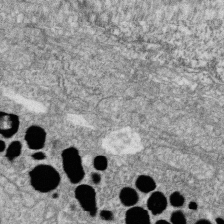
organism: Zebrafish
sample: Cilia; retinal pigment epithelium